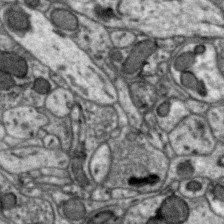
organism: Zebra finch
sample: Brain